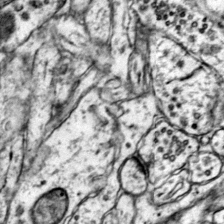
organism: Mouse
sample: Primary visual cortex